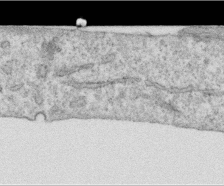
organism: Human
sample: Centriole in RPE cells